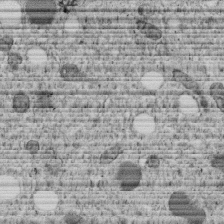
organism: C. elegans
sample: C. elegans embryo early stage